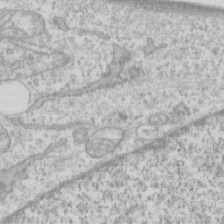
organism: Human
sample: CRL-1474